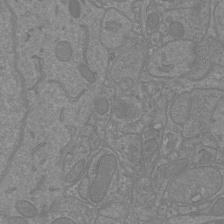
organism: Mouse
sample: Cortical neurons